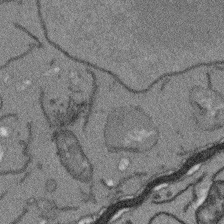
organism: Arabidopsis thaliana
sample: Root tip